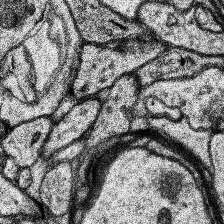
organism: Human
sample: Temporal Lobe